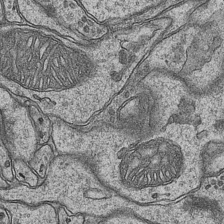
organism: Mouse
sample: CA1 Hippocampus